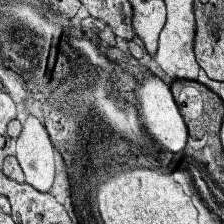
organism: Human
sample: Temporal Lobe